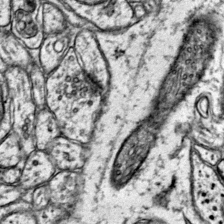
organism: Mouse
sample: Primary visual cortex